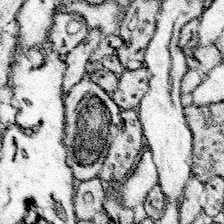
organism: Mouse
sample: Somatosensory cortex neuropil